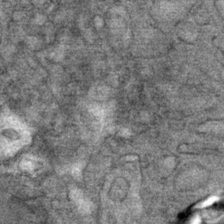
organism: Mouse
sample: Mouse Salivary gland